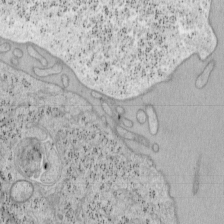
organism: Mouse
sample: OT-I killer T cells with ID8 ovarian cancer cells